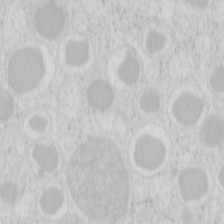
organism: Mouse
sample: Pancreas